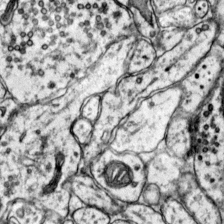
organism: Mouse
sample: Primary visual cortex